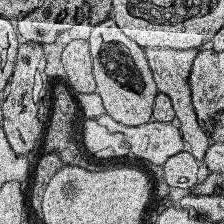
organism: Human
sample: Temporal Lobe